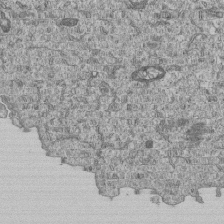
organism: Human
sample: MDA-MB-231 cells